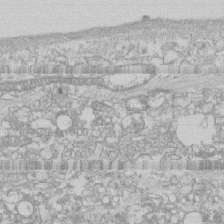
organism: Human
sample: CRL-1474